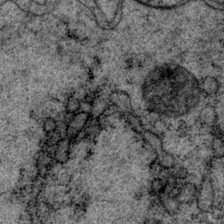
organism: P. pacificus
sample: Pharynx